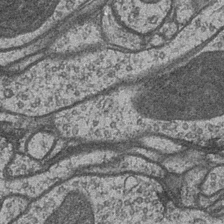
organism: Drosophila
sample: Optic medulla